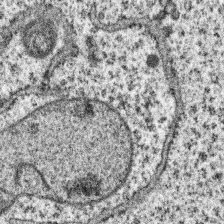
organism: Human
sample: HeLa cells